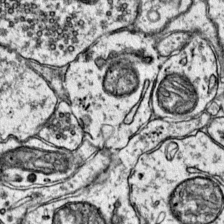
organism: Mouse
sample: Primary visual cortex